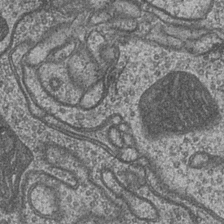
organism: Drosophila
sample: Optic medulla